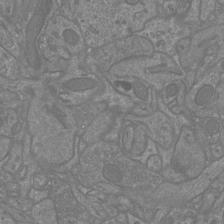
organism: Mouse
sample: Cortical neurons